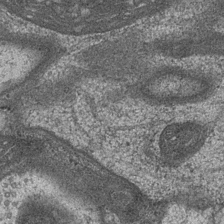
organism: Drosophila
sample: Optic medulla